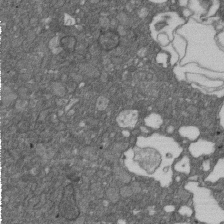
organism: Drosophila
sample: Nephrocyte